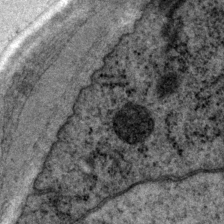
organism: P. pacificus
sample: Pharynx